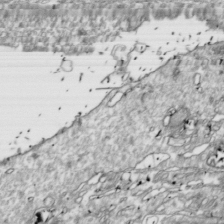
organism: Drosophila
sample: Cell division; meiosis; drosophila spermatocytes